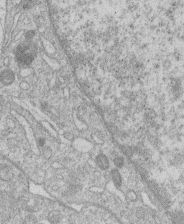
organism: Human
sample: Macrophage cells